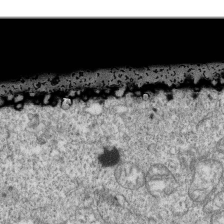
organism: Human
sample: HeLa cell HIV synapse